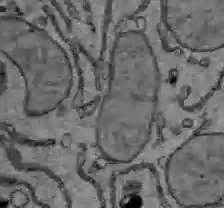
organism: C57BL Mouse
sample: Liver